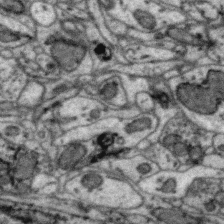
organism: Zebra finch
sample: Brain